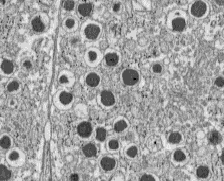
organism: C57BL Mouse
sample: Pancreatic islet